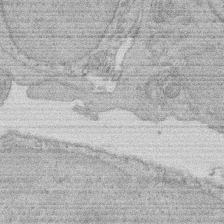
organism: Rat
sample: Salivary granule